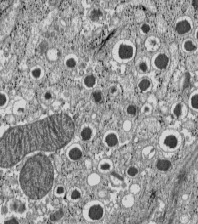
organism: C57BL Mouse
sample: Pancreatic islet